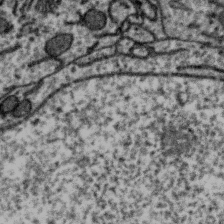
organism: Zebra finch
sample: Brain